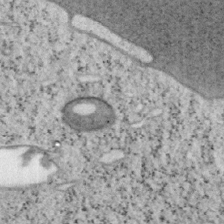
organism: Mouse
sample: OT-I killer T cells with ID8 ovarian cancer cells